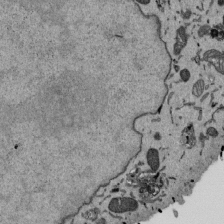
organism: Mouse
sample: ED-1 cell nuclei; centrioles